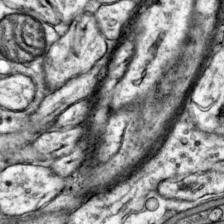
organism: Mouse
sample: Primary visual cortex